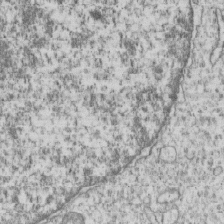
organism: Human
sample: MDA-MB-231 cells